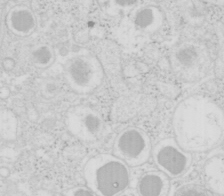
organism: Mouse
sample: Pancreas